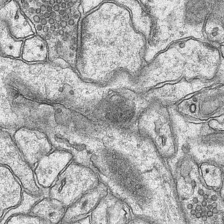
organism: Mouse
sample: CA1 Hippocampus